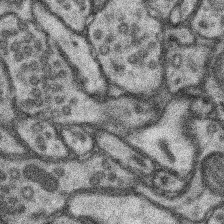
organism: Mouse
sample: Somatosensory cortex neuropil